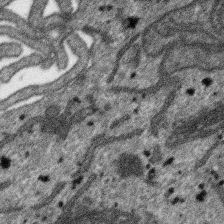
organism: Human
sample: Lung epithelial cells infected with SARS-CoV-2